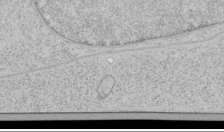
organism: Human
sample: Mitochondria in HCT116 cells